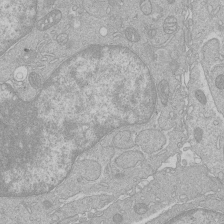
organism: Human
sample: Macrophage cells